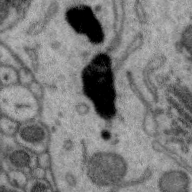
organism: Zebra finch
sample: Brain